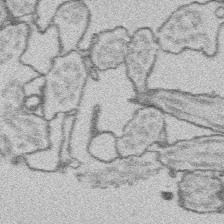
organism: Platynereis dumerilii